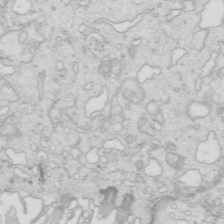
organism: Mouse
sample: Multiciliated cells